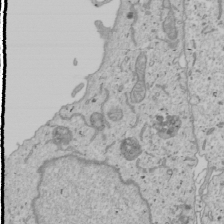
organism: Human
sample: Mitochondria in U2OS cells